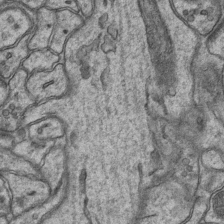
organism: Mouse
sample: CA1 Hippocampus